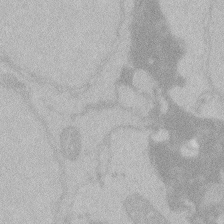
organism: Zebrafish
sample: Macrophage infected with Toxoplasma gondii